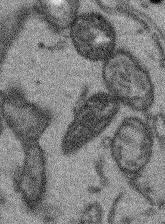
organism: Arabidopsis thaliana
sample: Root tip